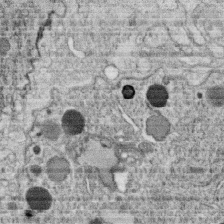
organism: C. elegans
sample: C. elegans oocyte; sperm cells